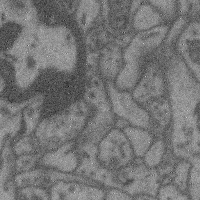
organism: Mouse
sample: Cerebral cortex